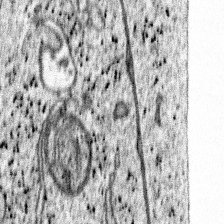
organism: Human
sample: HeLa cells